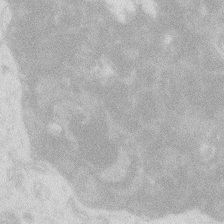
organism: Zebrafish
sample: Macrophage